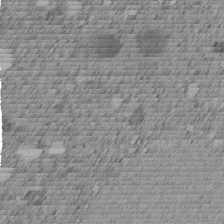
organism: C. elegans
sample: C. elegans embryo early stage